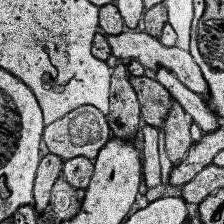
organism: Human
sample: Temporal Lobe